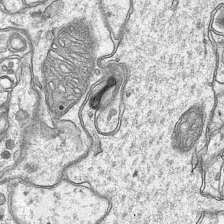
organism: Mouse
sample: CA1 Hippocampus